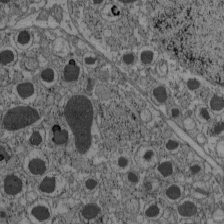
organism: C57BL Mouse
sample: Pancreatic islet